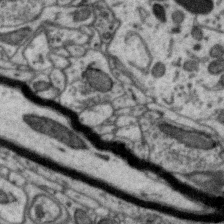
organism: Zebra finch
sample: Brain